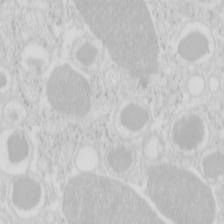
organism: Mouse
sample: Pancreas